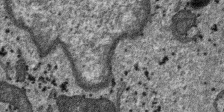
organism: Human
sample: Lung epithelial cells infected with SARS-CoV-2